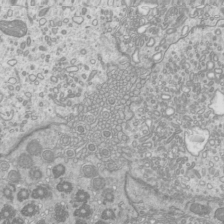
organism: Mouse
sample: Cilia; mouse epididymis